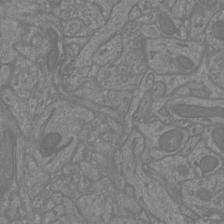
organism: Mouse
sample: Cortical neurons